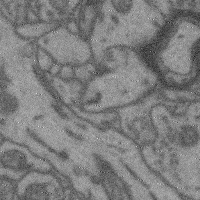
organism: Mouse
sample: Cerebral cortex